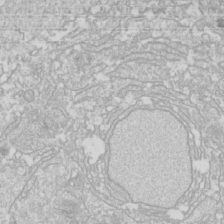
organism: Drosophila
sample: Cell division; meiosis; drosophila spermatocytes